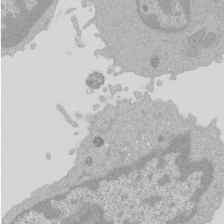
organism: Mouse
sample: Activated Pmel transgenic CD8+ T Cells